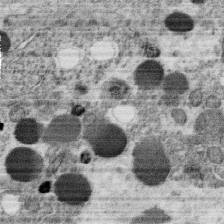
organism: C. elegans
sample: C. elegans oocyte; sperm cells